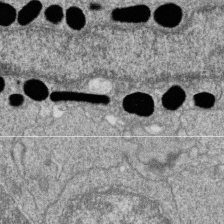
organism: Zebrafish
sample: Cilia; retinal pigment epithelium